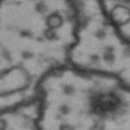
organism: Drosophila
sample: Brain